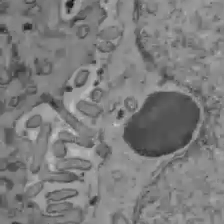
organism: C57BL Mouse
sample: Liver